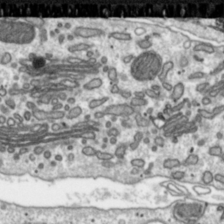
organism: Toxoplasma gondii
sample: Parasites in a vacuole inside a host cell